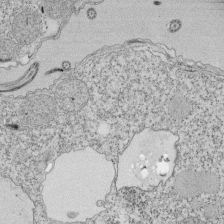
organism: Tetrahymena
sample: Cilia in tetrahymena